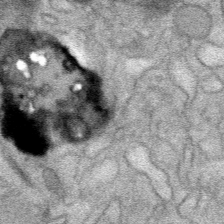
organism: Mouse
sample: Mouse Salivary gland